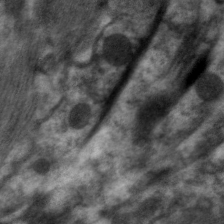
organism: C. elegans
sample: Pharynx